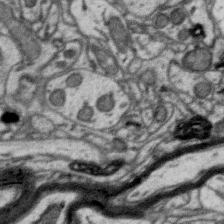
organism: Zebra finch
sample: Brain